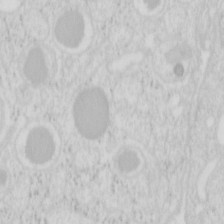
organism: Mouse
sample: Pancreas